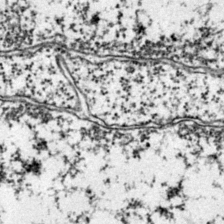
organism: Mouse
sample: Primary visual cortex